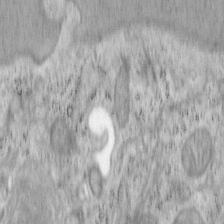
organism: Human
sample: HeLa cells